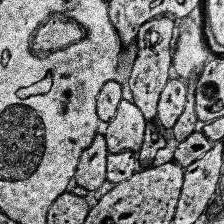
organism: Human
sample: Temporal Lobe